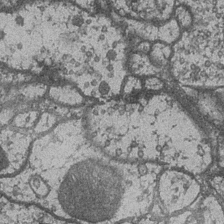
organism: Drosophila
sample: Optic medulla